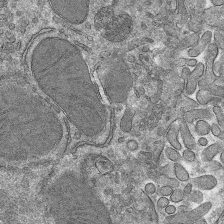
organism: Mouse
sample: Mouse hepatocytes